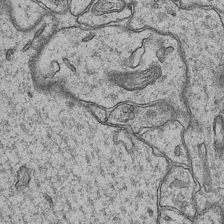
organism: Mouse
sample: CA1 Hippocampus